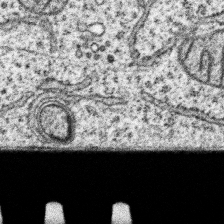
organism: Human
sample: HeLa cells